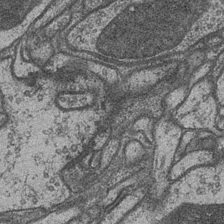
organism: Drosophila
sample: Optic medulla